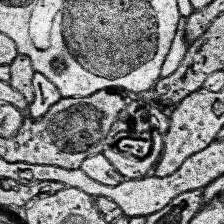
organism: Human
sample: Temporal Lobe